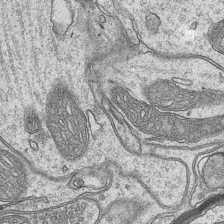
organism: Mouse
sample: CA1 Hippocampus